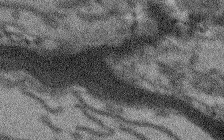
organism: Arabidopsis thaliana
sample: Root tip